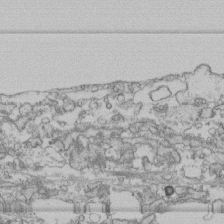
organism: Human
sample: Fibroblast cells